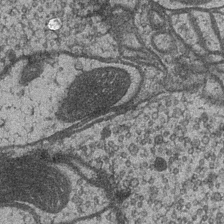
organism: Drosophila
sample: Optic medulla